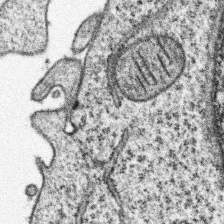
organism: Human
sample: HeLa cells